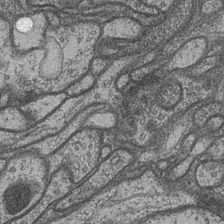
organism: Drosophila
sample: Optic medulla